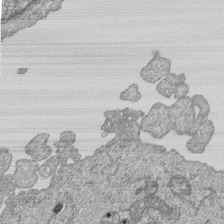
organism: Human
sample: MDA-MB-231 cells